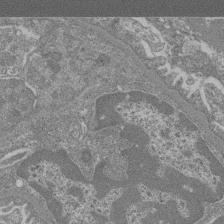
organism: Mouse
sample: Glomerulus